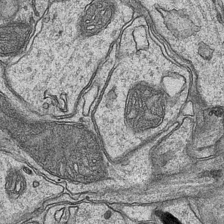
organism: Mouse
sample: CA1 Hippocampus